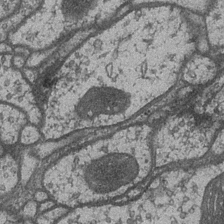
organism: Drosophila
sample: Optic medulla